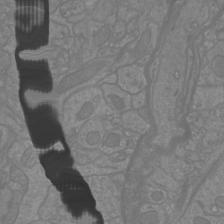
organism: Mouse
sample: Cortical neurons